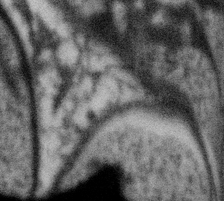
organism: Gemmata obscuriglobus